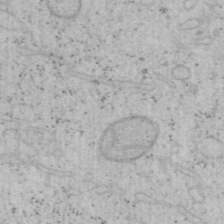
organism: Human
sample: HeLa cells